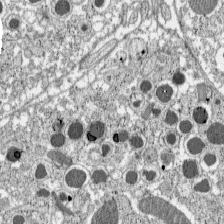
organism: C57BL Mouse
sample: Pancreatic islet